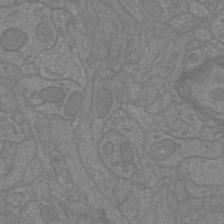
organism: Mouse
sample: Cortical neurons